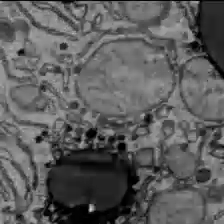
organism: C57BL Mouse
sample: Liver